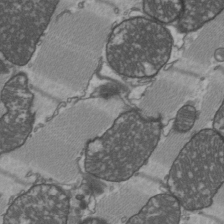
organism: C57BL Mouse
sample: Heart